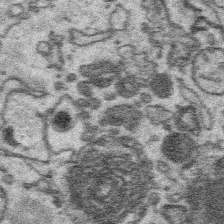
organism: Platynereis dumerilii